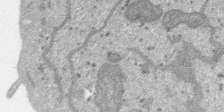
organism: Human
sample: Lung epithelial cells infected with SARS-CoV-2